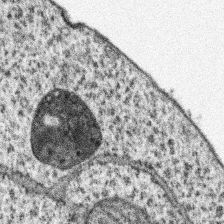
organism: Human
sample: HeLa cells